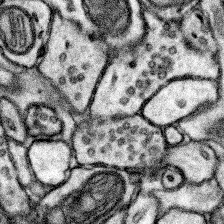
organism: Mouse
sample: Somatosensory cortex neuropil